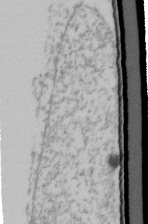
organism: Human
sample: U2-OS cells